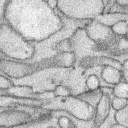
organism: Rabbit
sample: Retina